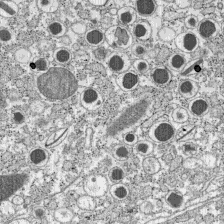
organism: C57BL Mouse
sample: Pancreatic islet